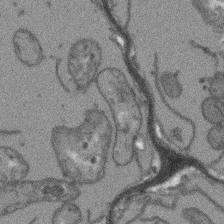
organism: Arabidopsis thaliana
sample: Root tip